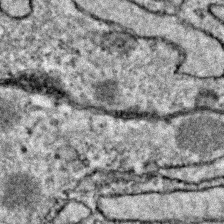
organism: Zebrafish